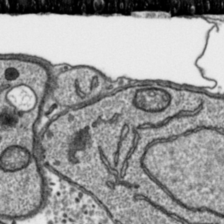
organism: Toxoplasma gondii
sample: Parasites in a vacuole inside a host cell